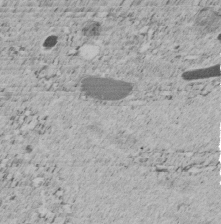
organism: C. elegans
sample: C. elegans embryo early stage